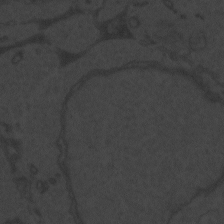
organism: Zebrafish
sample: Macrophage infected with Toxoplasma gondii